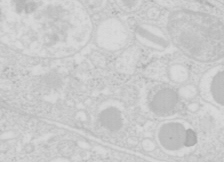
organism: Mouse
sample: Pancreas